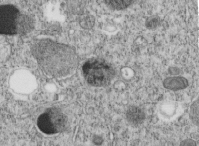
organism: C. elegans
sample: C. elegans embryo early stage